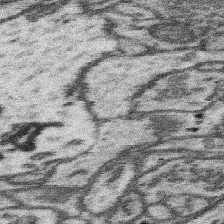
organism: Mouse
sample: Somatosensory cortex neuropil